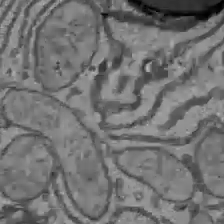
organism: C57BL Mouse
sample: Liver